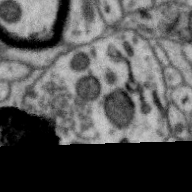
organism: Zebra finch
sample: Brain